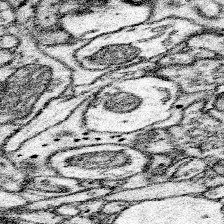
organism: Mouse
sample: Somatosensory cortex neuropil